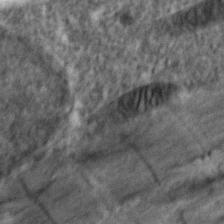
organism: Zebrafish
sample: Zebrafish embryo